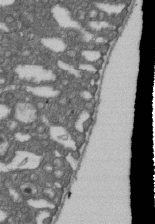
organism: Drosophila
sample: Nephrocyte